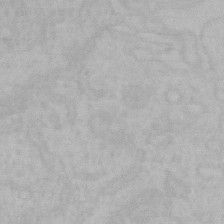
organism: Mouse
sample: Choroid plexus